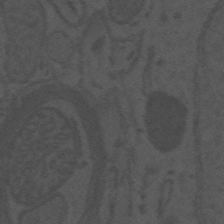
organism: Mouse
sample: Suprachiasmatic nucleus